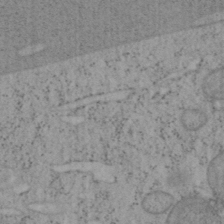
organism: Mouse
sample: OT-I killer T cells with ID8 ovarian cancer cells